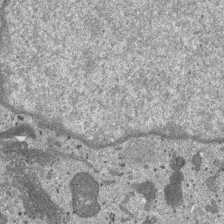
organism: Human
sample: Lung epithelial cells infected with SARS-CoV-2